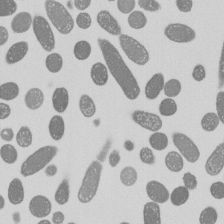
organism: E. coli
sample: Bacterial nucleoid